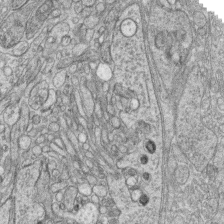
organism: Zebrafish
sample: synaptic ribbons in rod cells and cone cells